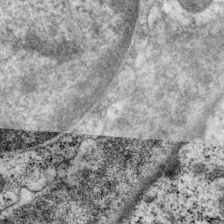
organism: P. pacificus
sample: Pharynx